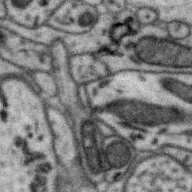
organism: Zebra finch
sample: Brain